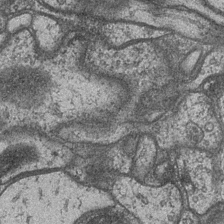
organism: Drosophila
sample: Optic medulla